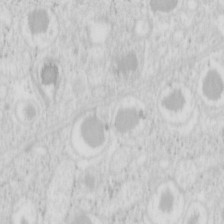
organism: Mouse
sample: Pancreas